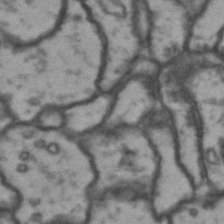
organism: Drosophila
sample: Brain